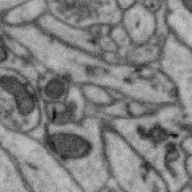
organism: Zebra finch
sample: Brain